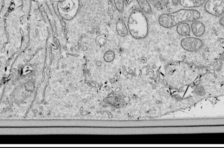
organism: Drosophila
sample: Cell division; meiosis; drosophila spermatocytes